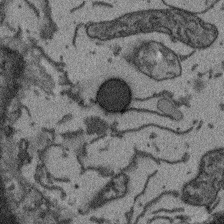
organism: Arabidopsis thaliana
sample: Root tip